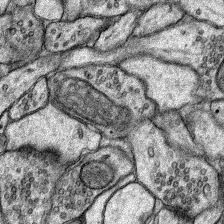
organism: Rat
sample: Hippocampus